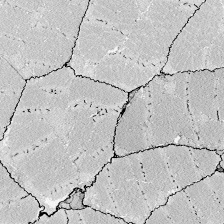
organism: Zebrafish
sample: Whole-Brain